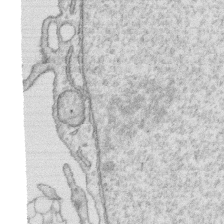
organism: Human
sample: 1205lu cells